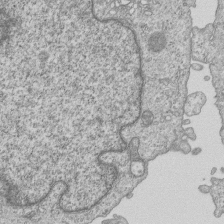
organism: Human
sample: MDA-MB-231 cells